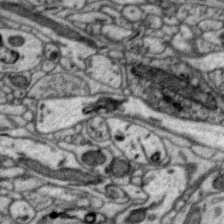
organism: Zebra finch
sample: Brain